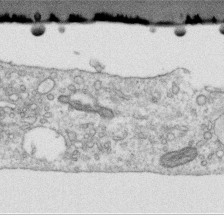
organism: Human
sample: Centriole in RPE cells